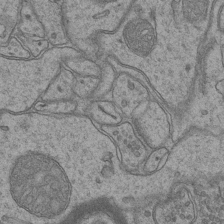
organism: Mouse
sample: CA1 Hippocampus